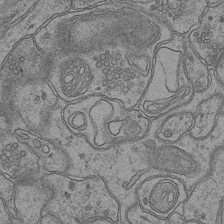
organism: Mouse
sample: CA1 Hippocampus